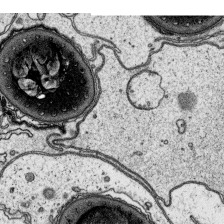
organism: Platynereis dumerilii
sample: Parapodia